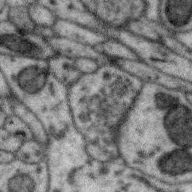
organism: Zebra finch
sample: Brain